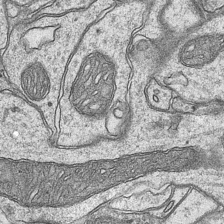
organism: Mouse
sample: CA1 Hippocampus